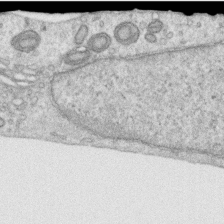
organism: Human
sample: Centriole in RPE cells